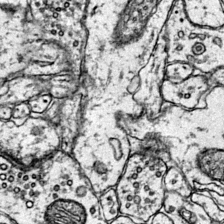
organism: Mouse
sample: Primary visual cortex